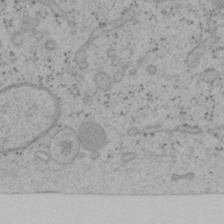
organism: Human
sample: HeLa cells